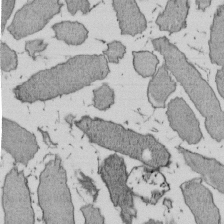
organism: E. coli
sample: Bacterial nucleoid